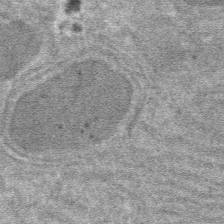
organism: Mouse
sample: Mouse hepatocytes